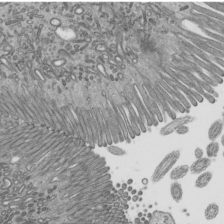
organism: Mouse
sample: Mouse epididymis efferent ductule cilia